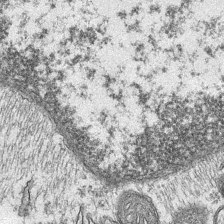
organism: Mouse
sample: CA1 Hippocampus